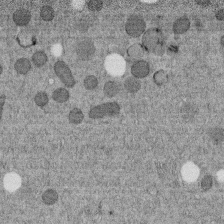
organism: C. elegans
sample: C. elegans embryo early stage